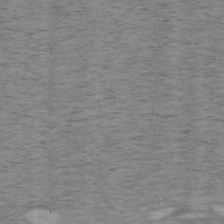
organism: Mouse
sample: OT-I killer T cells with ID8 ovarian cancer cells